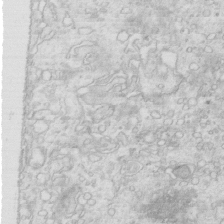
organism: Mouse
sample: Multiciliated cells